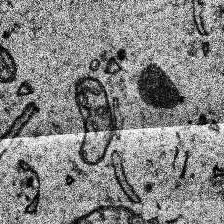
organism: Human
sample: Temporal Lobe